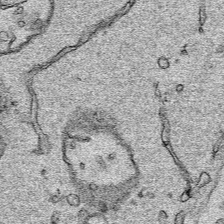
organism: Human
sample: Mitochondria in HCT116 cells